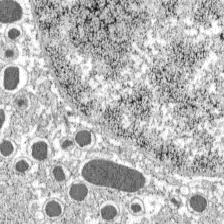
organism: C57BL Mouse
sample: Pancreatic islet